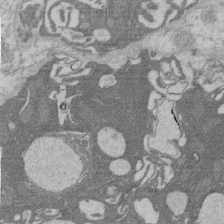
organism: Rat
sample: Salivary granule